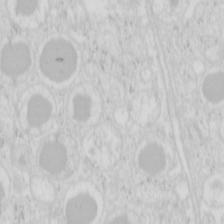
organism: Mouse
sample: Pancreas